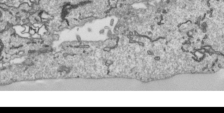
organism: Human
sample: Mitochondria in HCT116 cells